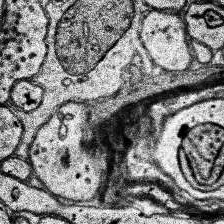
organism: Human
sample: Temporal Lobe